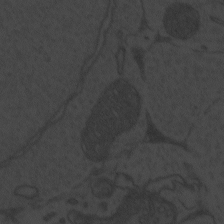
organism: Zebrafish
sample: Macrophage infected with Toxoplasma gondii